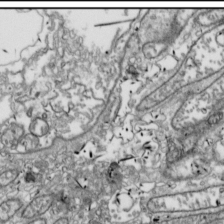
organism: Drosophila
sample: Cell division; meiosis; drosophila spermatocytes